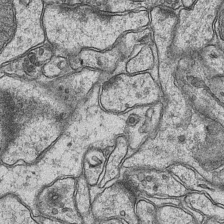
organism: Mouse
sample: CA1 Hippocampus